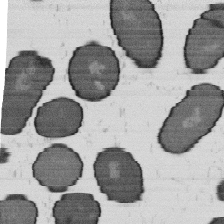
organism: B. subtilis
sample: Bacterial spore